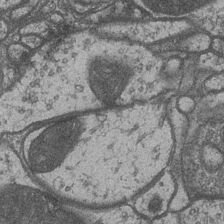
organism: Drosophila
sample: Optic medulla